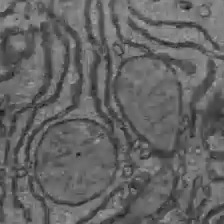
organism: C57BL Mouse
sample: Liver